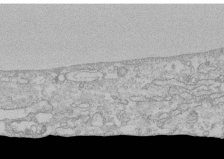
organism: Human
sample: CRL-1474